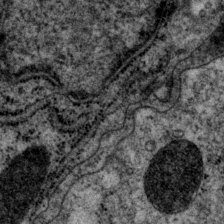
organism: P. pacificus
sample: Pharynx